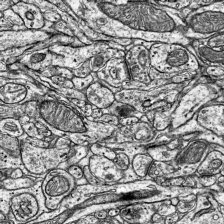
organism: Mouse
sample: Visual Cortex